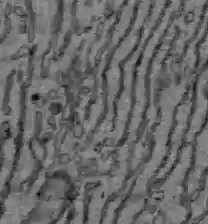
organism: C57BL Mouse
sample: Liver